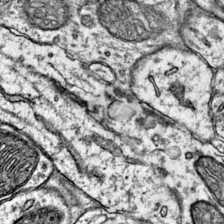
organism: Mouse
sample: Primary visual cortex